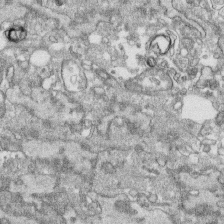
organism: Human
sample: CRL-1474